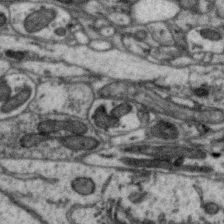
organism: Zebra finch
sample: Brain